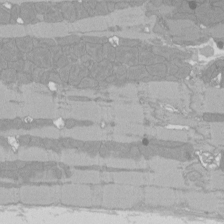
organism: Rat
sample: Left ventricle